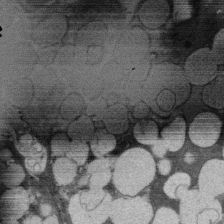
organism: Rat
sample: Salivary granule